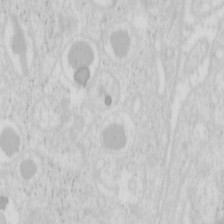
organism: Mouse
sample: Pancreas